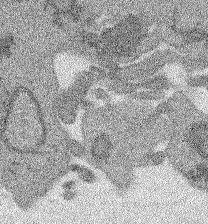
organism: Human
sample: HeLa cells